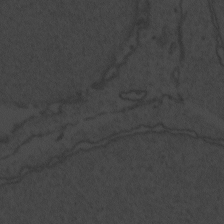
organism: Zebrafish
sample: Macrophage infected with Toxoplasma gondii